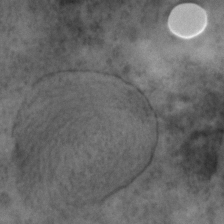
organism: C. elegans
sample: C. elegans embryo